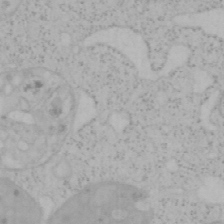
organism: Mouse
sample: OT-I killer T cells with ID8 ovarian cancer cells